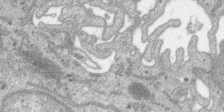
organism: Human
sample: Lung epithelial cells infected with SARS-CoV-2